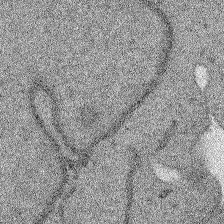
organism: Human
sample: HeLa cells